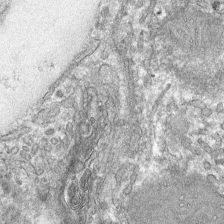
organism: Mouse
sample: Mouse hepatocytes